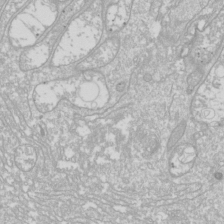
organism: Drosophila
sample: Cell division; meiosis; drosophila spermatocytes